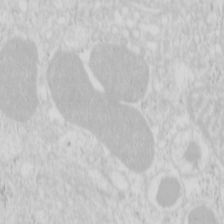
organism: Mouse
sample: Pancreas